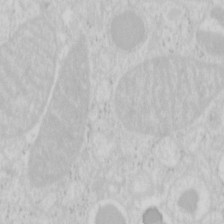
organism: Mouse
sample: Pancreas